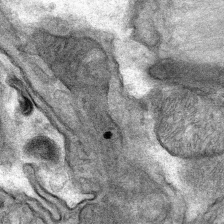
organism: Mouse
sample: Mouse Salivary gland